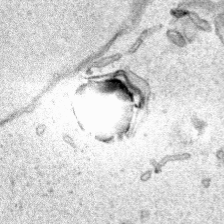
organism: Human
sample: Mitochondria in HCT116 cells